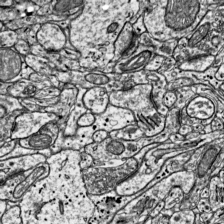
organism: Mouse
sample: Visual Cortex